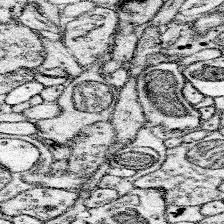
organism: Mouse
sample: Somatosensory cortex neuropil